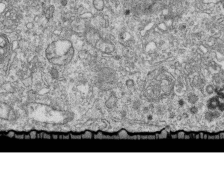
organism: Human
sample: HeLa cell HIV synapse